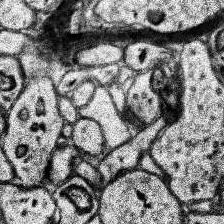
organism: Human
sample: Temporal Lobe